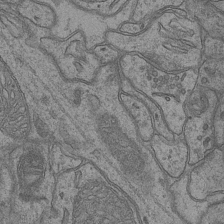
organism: Mouse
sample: CA1 Hippocampus